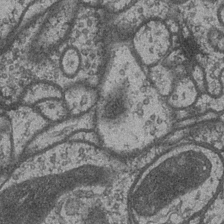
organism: Drosophila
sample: Optic medulla